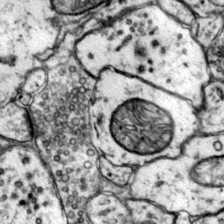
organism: Mouse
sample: Primary visual cortex